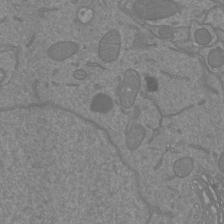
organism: Mouse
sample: Cortical neurons